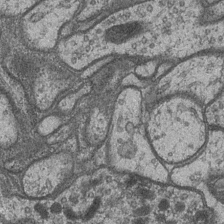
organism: Drosophila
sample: Optic medulla